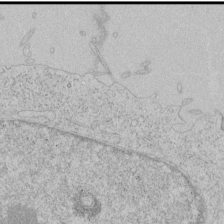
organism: Human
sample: Mitochondria in HCT116 cells